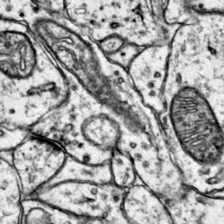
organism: Mouse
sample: Primary visual cortex